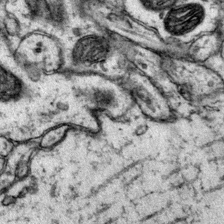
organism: Mouse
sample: Primary visual cortex